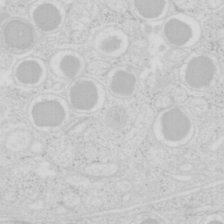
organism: Mouse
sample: Pancreas